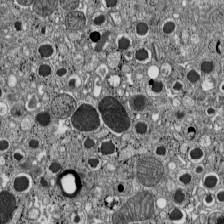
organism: C57BL Mouse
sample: Pancreatic islet